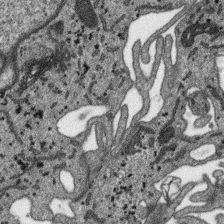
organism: Human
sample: Lung epithelial cells infected with SARS-CoV-2